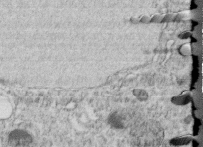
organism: C. elegans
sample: C. elegans embryo early stage